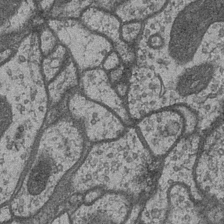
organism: Drosophila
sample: Optic medulla